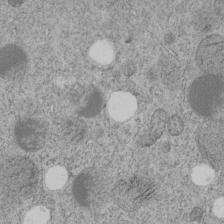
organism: C. elegans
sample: C. elegans embryo early stage